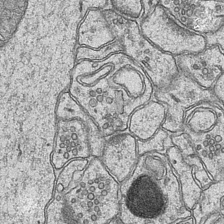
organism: Mouse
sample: CA1 Hippocampus